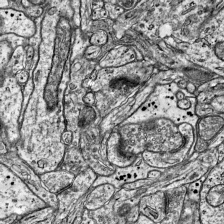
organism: Mouse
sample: Visual Cortex